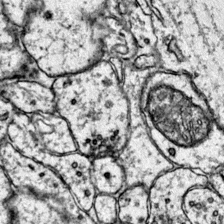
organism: Mouse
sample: Primary visual cortex